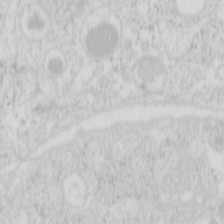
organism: Mouse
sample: Pancreas